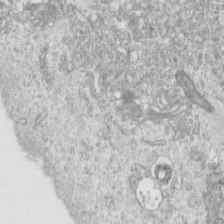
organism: Human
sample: Centriole in RPE cells